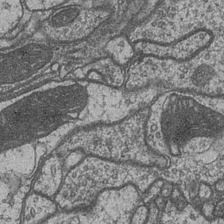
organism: Drosophila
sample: Optic medulla